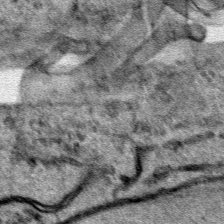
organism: Human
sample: Mitochondria in HCT116 cells